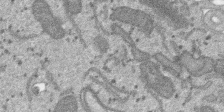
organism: Human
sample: Lung epithelial cells infected with SARS-CoV-2